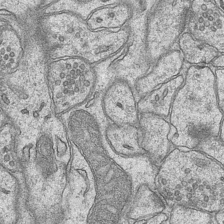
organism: Mouse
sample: CA1 Hippocampus